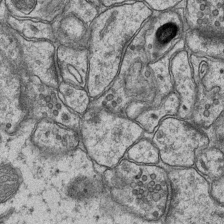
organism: Mouse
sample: CA1 Hippocampus